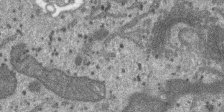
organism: Human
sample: Lung epithelial cells infected with SARS-CoV-2